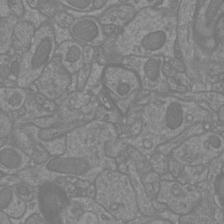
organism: Mouse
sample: Cortical neurons